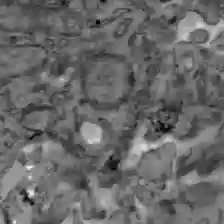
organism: C57BL Mouse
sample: Liver